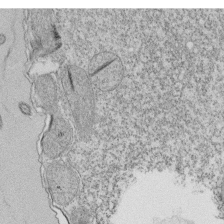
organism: Tetrahymena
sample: Cilia in tetrahymena